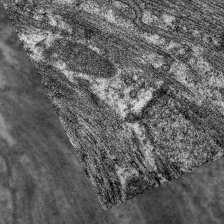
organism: C. elegans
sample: Pharynx